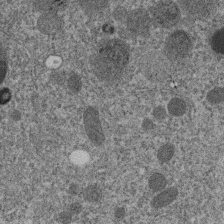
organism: C. elegans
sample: C. elegans embryo early stage